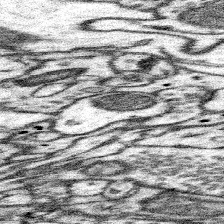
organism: Mouse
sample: Somatosensory cortex neuropil